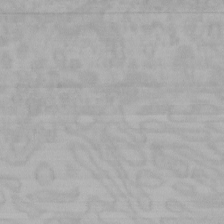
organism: Mouse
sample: Choroid plexus